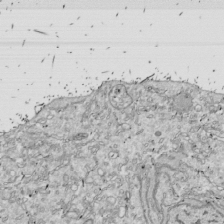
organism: Drosophila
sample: Cell division; meiosis; drosophila spermatocytes